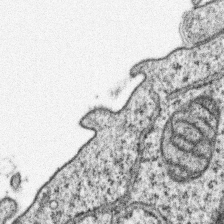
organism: Human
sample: HeLa cells